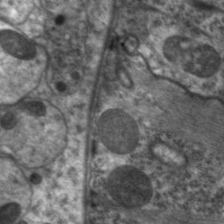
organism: C. elegans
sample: Pharynx